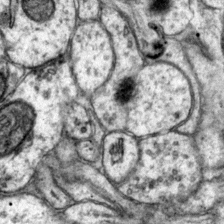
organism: Mouse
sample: Primary visual cortex